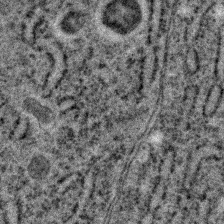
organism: C. elegans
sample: C. elegans embryo